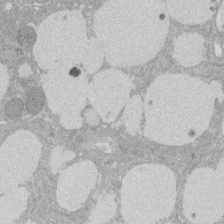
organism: Rat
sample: Salivary granule